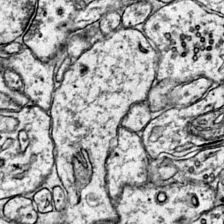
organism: Mouse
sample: Primary visual cortex